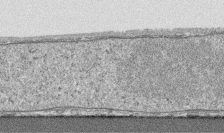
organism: Human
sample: CRL-1474